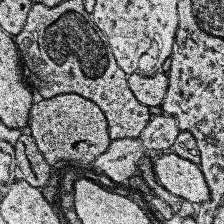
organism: Human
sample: Temporal Lobe